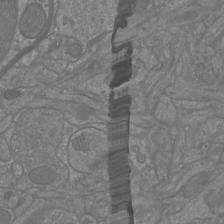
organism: Mouse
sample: Cortical neurons